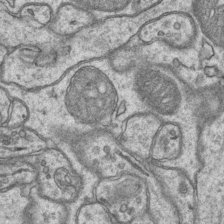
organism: Mouse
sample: CA1 Hippocampus